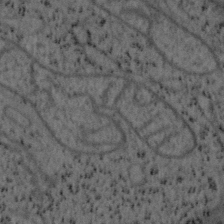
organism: Human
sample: HeLa cells